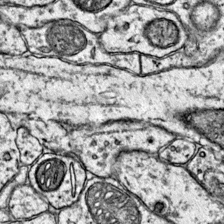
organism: Mouse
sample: Primary visual cortex